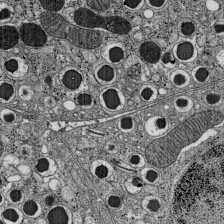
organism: C57BL Mouse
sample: Pancreatic islet